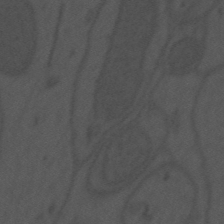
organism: Mouse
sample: Suprachiasmatic nucleus